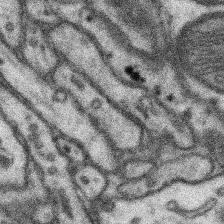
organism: Mouse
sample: Somatosensory cortex neuropil